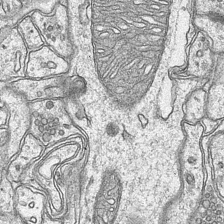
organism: Mouse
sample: CA1 Hippocampus